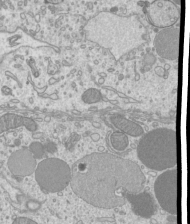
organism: Mouse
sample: Cilia; mouse epididymis